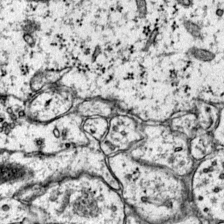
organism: Mouse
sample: Primary visual cortex